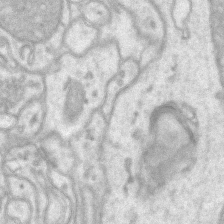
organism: Mouse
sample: CA1 Hippocampus